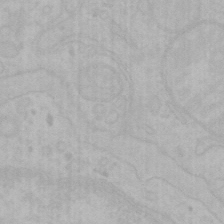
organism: Mouse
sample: Choroid plexus